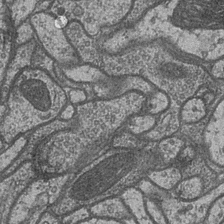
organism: Drosophila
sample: Optic medulla